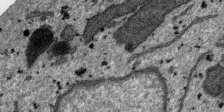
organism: Human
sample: Lung epithelial cells, uninfected (mock) control